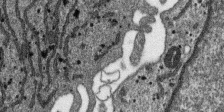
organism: Human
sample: Lung epithelial cells infected with SARS-CoV-2